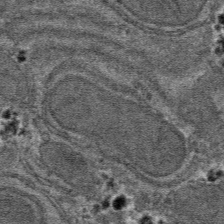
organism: Mouse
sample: Mouse hepatocytes